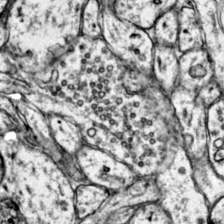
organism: Mouse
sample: Primary visual cortex